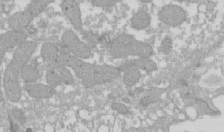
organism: Xenopus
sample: Cilia; centrioles in frog embryo cells